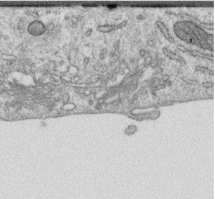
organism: Human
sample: Centriole in RPE cells